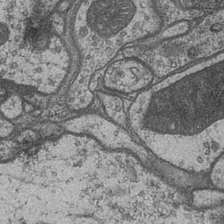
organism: Drosophila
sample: Optic medulla